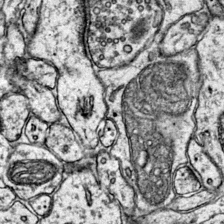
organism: Mouse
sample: Primary visual cortex